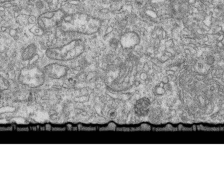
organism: Human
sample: HeLa cell HIV synapse